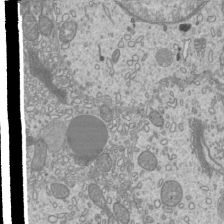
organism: Mouse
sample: Cilia; mouse epididymis